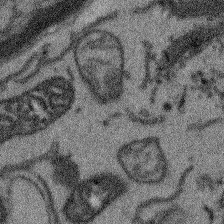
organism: Arabidopsis thaliana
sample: Root tip